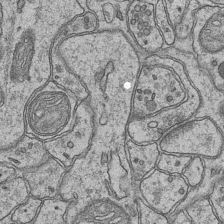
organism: Mouse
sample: CA1 Hippocampus